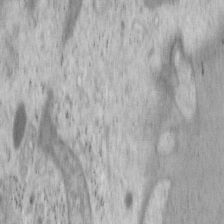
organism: Human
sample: HeLa cells